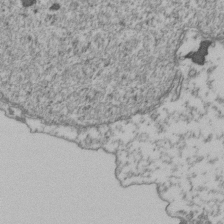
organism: Human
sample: Activated Jurkat CD4+ T cells